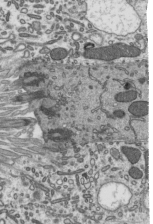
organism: Mouse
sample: Mouse epididymis efferent ductule cilia